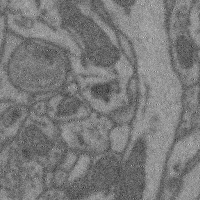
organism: Mouse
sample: Cerebral cortex